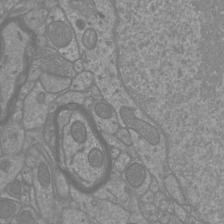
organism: Mouse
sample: Cortical neurons